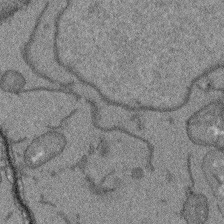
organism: Arabidopsis thaliana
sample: Root tip